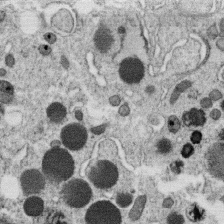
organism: C. elegans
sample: C. elegans oocyte; sperm cells